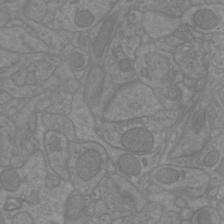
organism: Mouse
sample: Cortical neurons